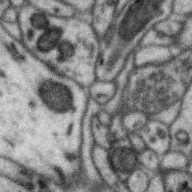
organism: Zebra finch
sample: Brain